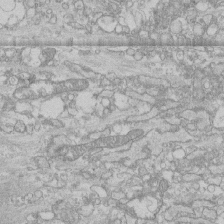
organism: Human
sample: CRL-1474